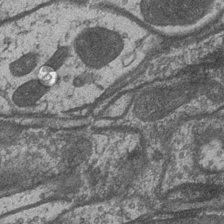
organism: Drosophila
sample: Optic medulla